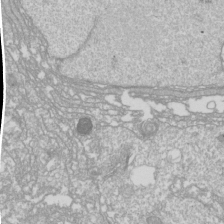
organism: Drosophila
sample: Cell division; meiosis; drosophila spermatocytes